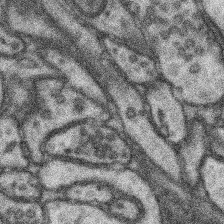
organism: Mouse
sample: Somatosensory cortex neuropil